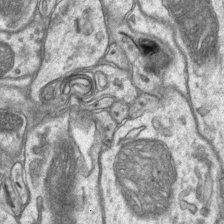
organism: Mouse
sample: CA1 Hippocampus